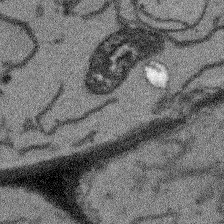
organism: Arabidopsis thaliana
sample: Root tip